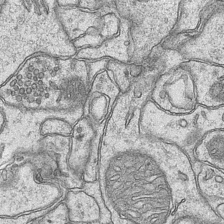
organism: Mouse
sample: CA1 Hippocampus